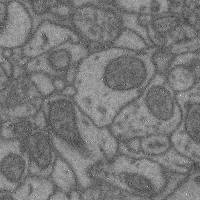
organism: Mouse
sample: Cerebral cortex